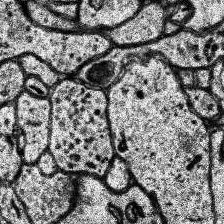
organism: Human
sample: Temporal Lobe